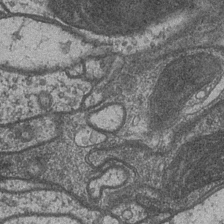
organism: Drosophila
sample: Optic medulla